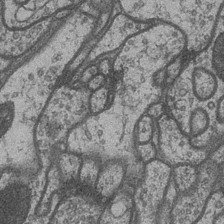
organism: Drosophila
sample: Optic medulla